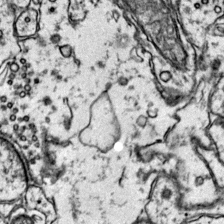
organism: Mouse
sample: Primary visual cortex